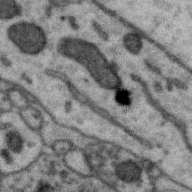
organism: Zebra finch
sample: Brain